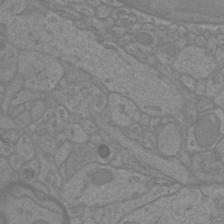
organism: Mouse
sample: Cortical neurons